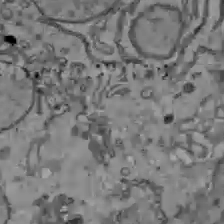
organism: C57BL Mouse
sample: Liver